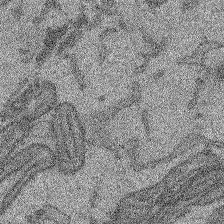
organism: Human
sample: HeLa cells